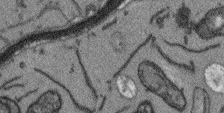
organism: Arabidopsis thaliana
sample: Root tip